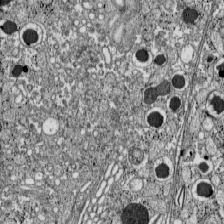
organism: C57BL Mouse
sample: Pancreatic islet